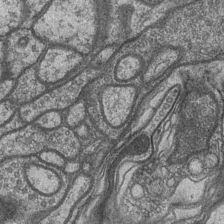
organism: Drosophila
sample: Optic medulla